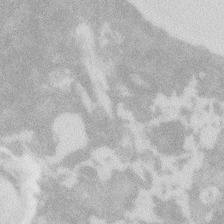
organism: Zebrafish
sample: Macrophage